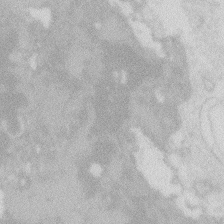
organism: Zebrafish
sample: Macrophage